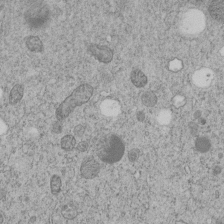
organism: C. elegans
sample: C. elegans embryo early stage